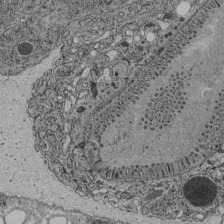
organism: C. elegans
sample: C. elegans pharynx